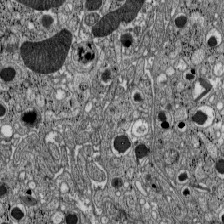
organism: C57BL Mouse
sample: Pancreatic islet